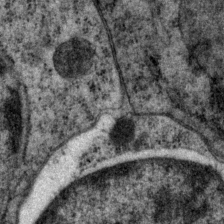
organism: P. pacificus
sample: Pharynx